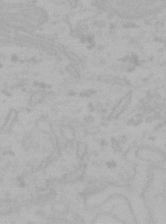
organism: Mouse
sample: Choroid plexus